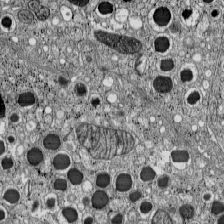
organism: C57BL Mouse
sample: Pancreatic islet